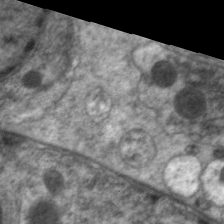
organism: C. elegans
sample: Pharynx